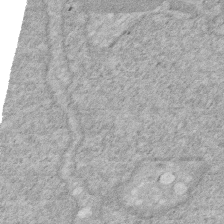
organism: Human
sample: HIV infected U937 cells